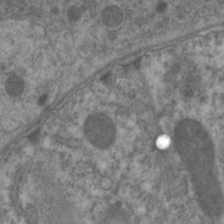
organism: C. elegans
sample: Pharynx